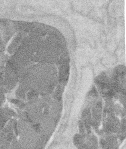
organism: Mouse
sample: T cell stromal cell synapse